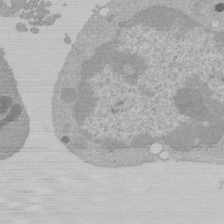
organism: Mouse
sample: Activated Pmel transgenic CD8+ T Cells